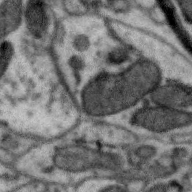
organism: Zebra finch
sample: Brain